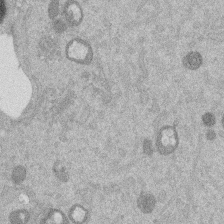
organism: Mouse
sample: Dividing mouse embryo 1 cell stage